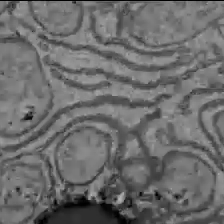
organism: C57BL Mouse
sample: Liver